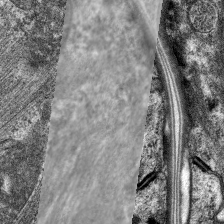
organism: C. elegans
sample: Pharynx